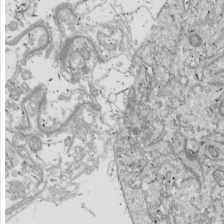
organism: Drosophila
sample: Cell division; meiosis; drosophila spermatocytes